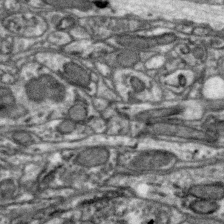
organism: Zebra finch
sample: Brain